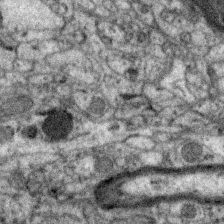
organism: Zebra finch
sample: Brain